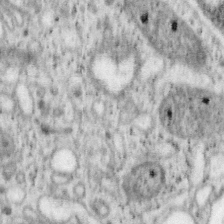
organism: Mouse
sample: OT-I killer T cells with ID8 ovarian cancer cells